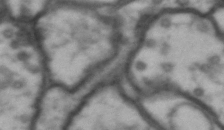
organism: Drosophila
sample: Brain